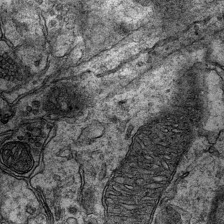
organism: Mouse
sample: CA1 Hippocampus